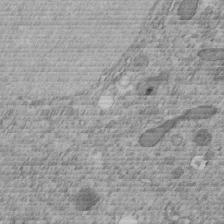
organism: C. elegans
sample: C. elegans embryo early stage